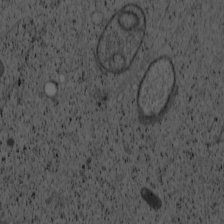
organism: African green monkey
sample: COS-7 cells